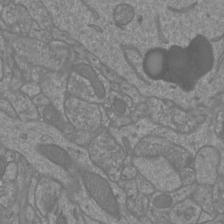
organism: Mouse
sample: Cortical neurons